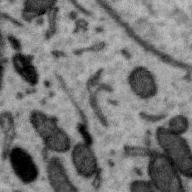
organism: Zebra finch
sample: Brain